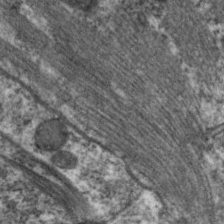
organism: C. elegans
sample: Pharynx